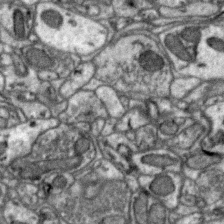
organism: Zebra finch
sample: Brain